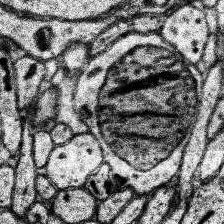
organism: Human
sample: Temporal Lobe